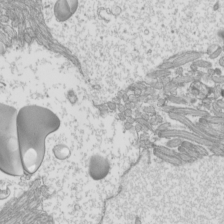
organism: Mouse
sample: Cilia; mouse epididymis